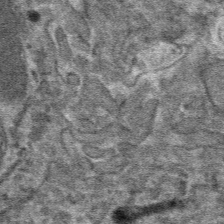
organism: Mouse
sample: Mouse hepatocytes